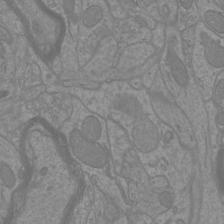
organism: Mouse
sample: Cortical neurons